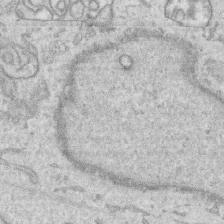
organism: Human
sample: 1205lu cells